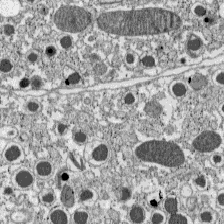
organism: C57BL Mouse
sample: Pancreatic islet